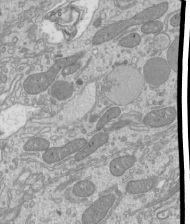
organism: Mouse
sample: Cilia; mouse epididymis